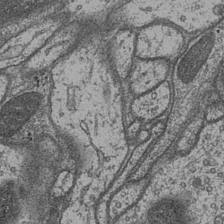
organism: Drosophila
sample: Optic medulla